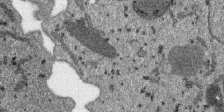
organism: Human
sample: Lung epithelial cells infected with SARS-CoV-2